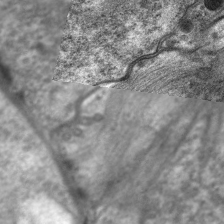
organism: C. elegans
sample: Pharynx